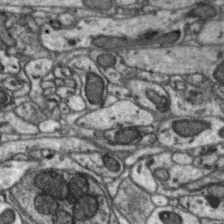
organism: Zebra finch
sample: Brain